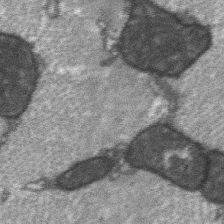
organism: C57BL Mouse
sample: Soleus